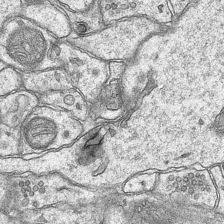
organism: Mouse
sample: CA1 Hippocampus